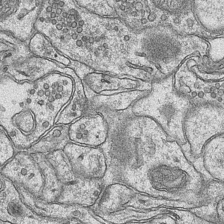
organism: Mouse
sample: CA1 Hippocampus